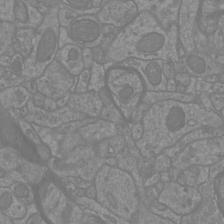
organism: Mouse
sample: Cortical neurons